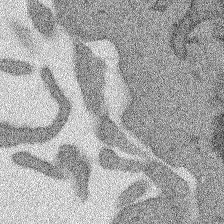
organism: Human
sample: HeLa cells